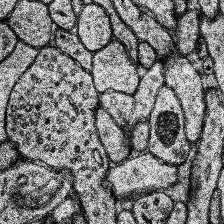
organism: Human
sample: Temporal Lobe